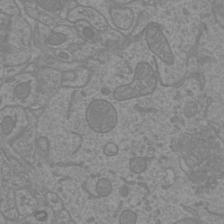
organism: Mouse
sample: Cortical neurons